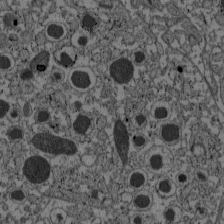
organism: C57BL Mouse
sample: Pancreatic islet